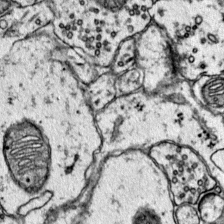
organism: Mouse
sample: Primary visual cortex